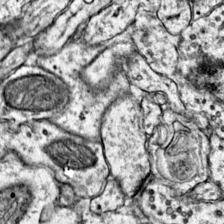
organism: Mouse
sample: Primary visual cortex